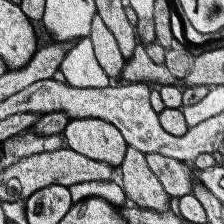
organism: Human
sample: Temporal Lobe